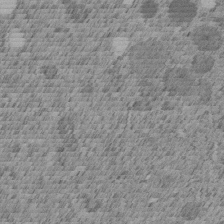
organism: C. elegans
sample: C. elegans embryo early stage